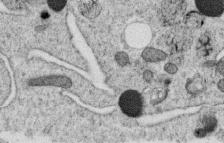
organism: C. elegans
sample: C. elegans oocyte; sperm cells